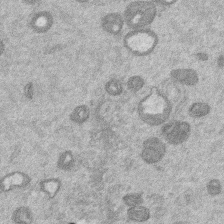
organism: Mouse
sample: Dividing mouse embryo 1 cell stage